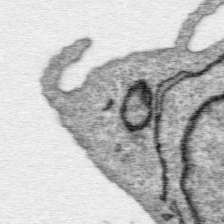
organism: Human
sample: HeLa cells